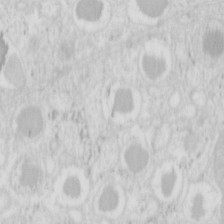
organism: Mouse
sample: Pancreas